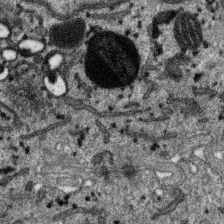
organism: Human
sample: Lung epithelial cells infected with SARS-CoV-2